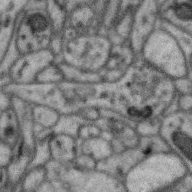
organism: Zebra finch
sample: Brain